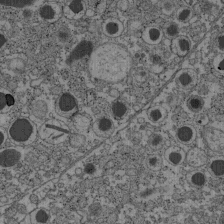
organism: C57BL Mouse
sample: Pancreatic islet